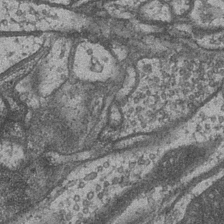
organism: Drosophila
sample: Optic medulla